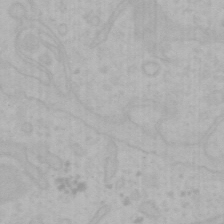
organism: Mouse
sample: Choroid plexus